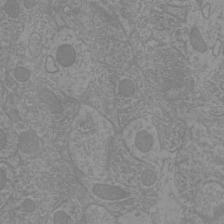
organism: Mouse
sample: Cortical neurons